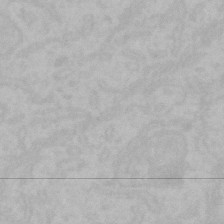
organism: Mouse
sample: Choroid plexus